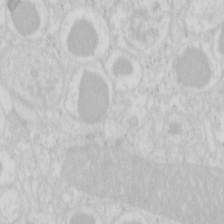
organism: Mouse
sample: Pancreas